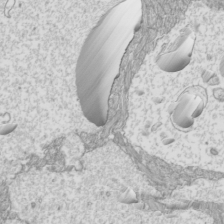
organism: Mouse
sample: Cilia; mouse epididymis